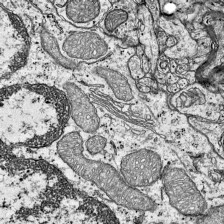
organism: Mouse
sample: Visual Cortex